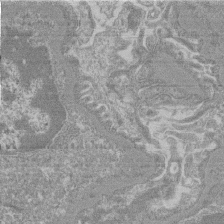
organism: Mouse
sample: Glomerulus